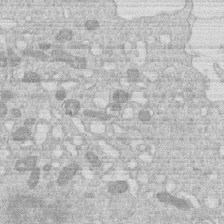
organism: Human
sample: Macrophage cells